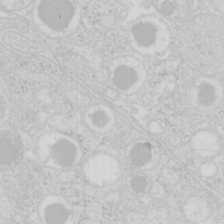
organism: Mouse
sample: Pancreas